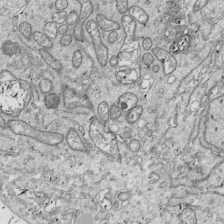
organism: Drosophila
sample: Cell division; meiosis; drosophila spermatocytes